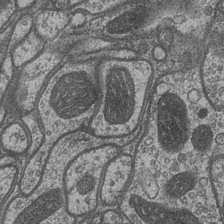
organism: Drosophila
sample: Optic medulla